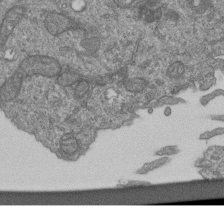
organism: Human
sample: Retinal organoid Rod and Cone cells